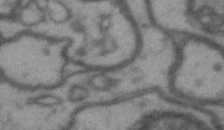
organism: Drosophila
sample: Brain